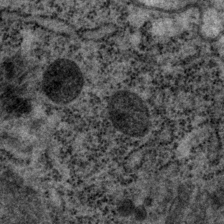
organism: P. pacificus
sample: Pharynx